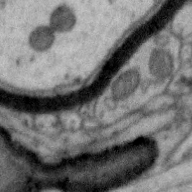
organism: Zebra finch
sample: Brain